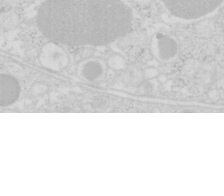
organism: Mouse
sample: Pancreas